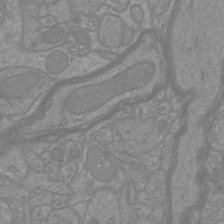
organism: Mouse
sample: Cortical neurons